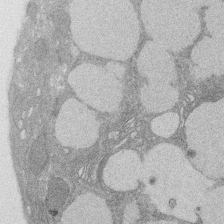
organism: Rat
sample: Salivary granule